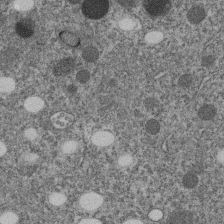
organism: C. elegans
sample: C. elegans embryo early stage